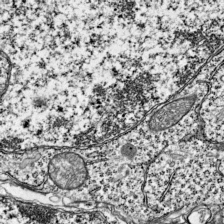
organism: Mouse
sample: Visual Cortex